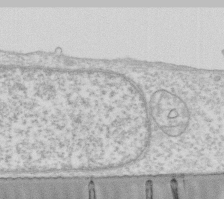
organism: Human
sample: Fibroblast cells